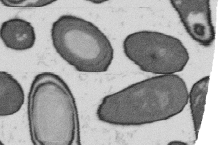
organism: B. subtilis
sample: Bacterial spore